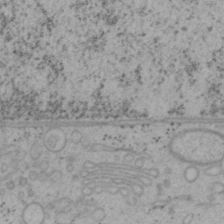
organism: Human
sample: HeLa cells